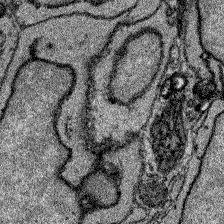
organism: Zebrafish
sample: Larval olfactory bulb